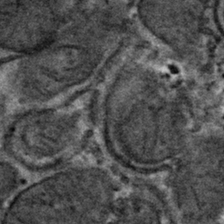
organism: Mouse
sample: Mouse hepatocytes